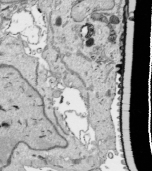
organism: Human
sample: Mitochondria in HCT116 cells